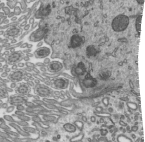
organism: Mouse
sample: Mouse epididymis efferent ductule cilia